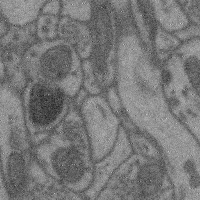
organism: Mouse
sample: Cerebral cortex